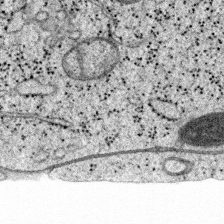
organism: Human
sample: HeLa cells